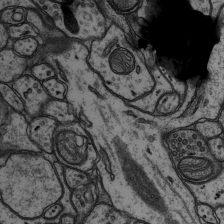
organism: Rat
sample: Hippocampus